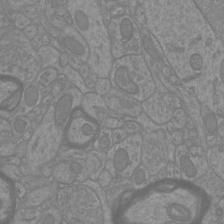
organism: Mouse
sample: Cortical neurons